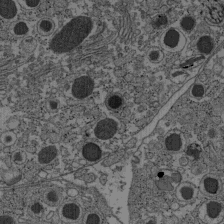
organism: C57BL Mouse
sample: Pancreatic islet